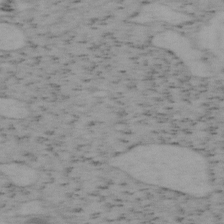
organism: Mouse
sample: OT-I killer T cells with ID8 ovarian cancer cells